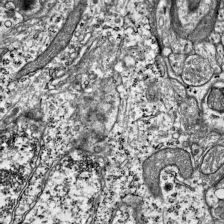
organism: Mouse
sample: Visual Cortex